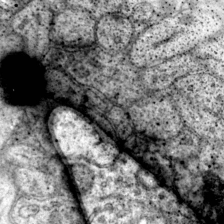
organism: Mouse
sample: Primary visual cortex